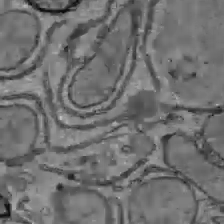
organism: C57BL Mouse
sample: Liver